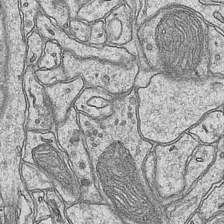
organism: Mouse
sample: CA1 Hippocampus